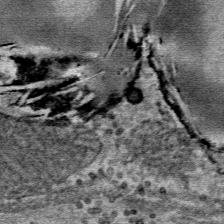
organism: Mouse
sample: Mouse Salivary gland